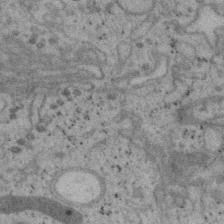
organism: Human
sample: HeLa cells